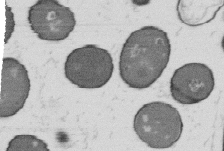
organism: B. subtilis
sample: Bacterial spore